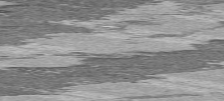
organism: C57BL Mouse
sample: Heart